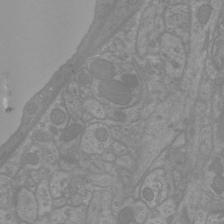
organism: Mouse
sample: Cortical neurons